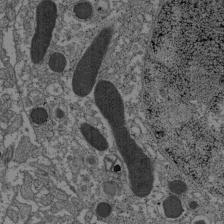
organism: C57BL Mouse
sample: Pancreatic islet